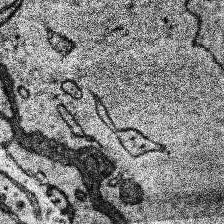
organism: Human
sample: Temporal Lobe